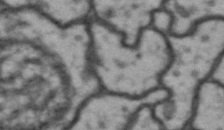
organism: Drosophila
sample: Brain